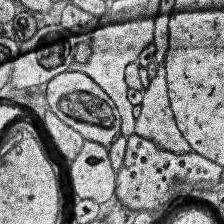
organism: Human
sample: Temporal Lobe